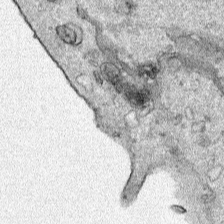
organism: Human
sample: Mitochondria in HCT116 cells